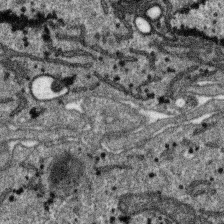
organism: Human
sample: Lung epithelial cells infected with SARS-CoV-2